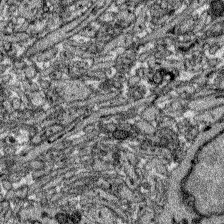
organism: Zebrafish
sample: Larval olfactory bulb